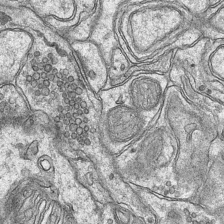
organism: Mouse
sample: CA1 Hippocampus